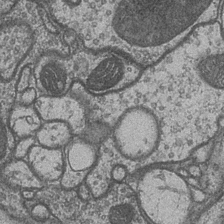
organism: Drosophila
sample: Optic medulla